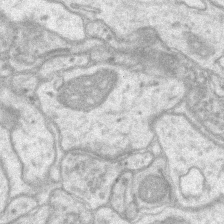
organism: Mouse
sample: CA1 Hippocampus